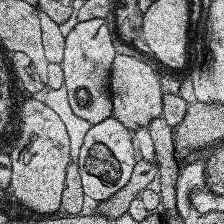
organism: Human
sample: Temporal Lobe